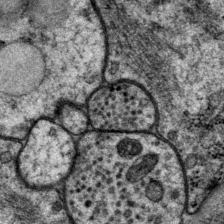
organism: P. pacificus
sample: Pharynx